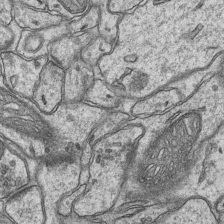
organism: Mouse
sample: CA1 Hippocampus